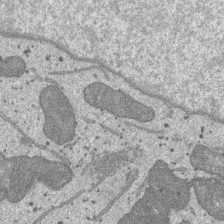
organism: Human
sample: Lung epithelial cells infected with SARS-CoV-2